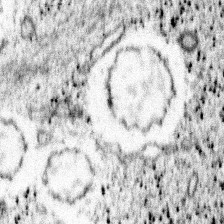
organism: Human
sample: HeLa cells